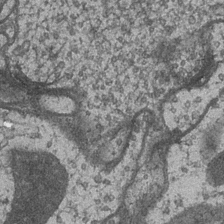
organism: Drosophila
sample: Optic medulla